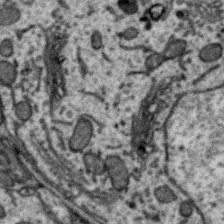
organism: Zebra finch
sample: Brain